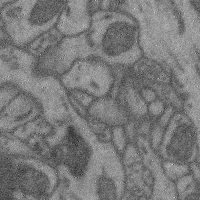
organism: Mouse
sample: Cerebral cortex